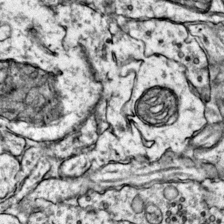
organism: Mouse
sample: Primary visual cortex